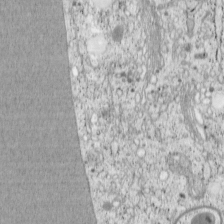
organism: African green monkey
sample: COS-7 cells